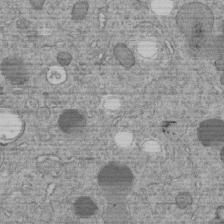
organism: C. elegans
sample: C. elegans embryo early stage